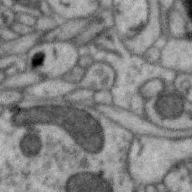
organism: Zebra finch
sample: Brain